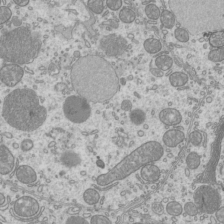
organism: Mouse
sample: Cilia; mouse epididymis